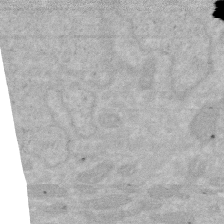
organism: Human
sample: HIV infected U937 cells